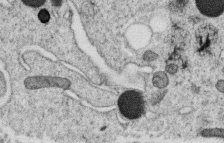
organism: C. elegans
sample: C. elegans oocyte; sperm cells